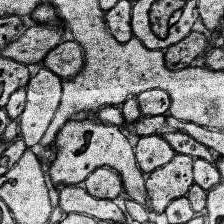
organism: Human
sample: Temporal Lobe